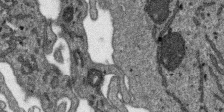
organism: Human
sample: Lung epithelial cells infected with SARS-CoV-2